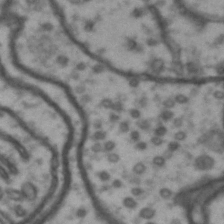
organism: Drosophila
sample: Brain